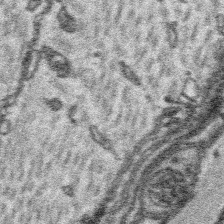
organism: Platynereis dumerilii